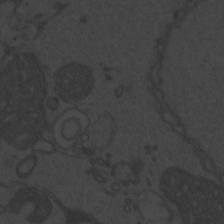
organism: Zebrafish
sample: Macrophage infected with Toxoplasma gondii